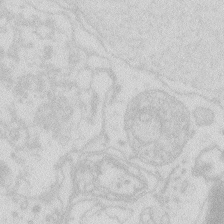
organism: Zebrafish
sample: Macrophage